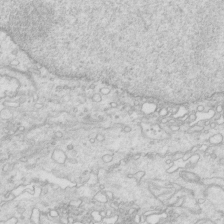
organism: Mouse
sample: Multiciliated cells